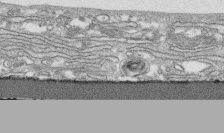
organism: Human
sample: CRL-1474